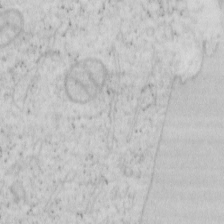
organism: Human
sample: HeLa cells